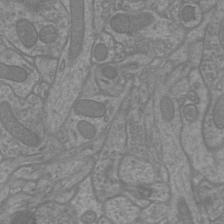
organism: Mouse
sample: Cortical neurons